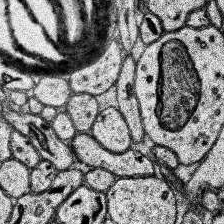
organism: Human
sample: Temporal Lobe